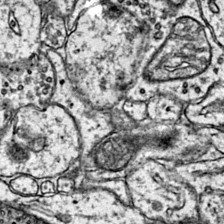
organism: Mouse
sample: Primary visual cortex